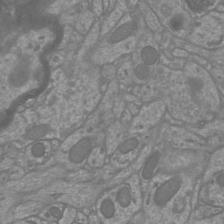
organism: Mouse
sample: Cortical neurons